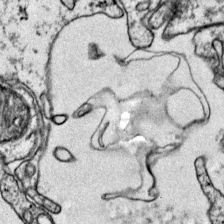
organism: Mouse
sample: Primary visual cortex